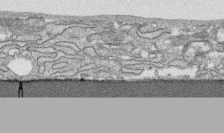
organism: Human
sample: CRL-1474